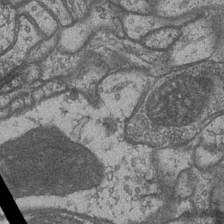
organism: Drosophila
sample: Optic medulla